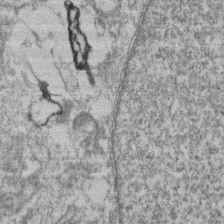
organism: Mouse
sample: T cell stromal cell synapse